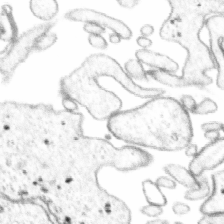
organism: Human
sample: HeLa cells